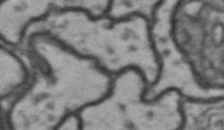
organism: Drosophila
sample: Brain